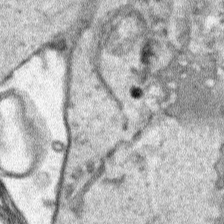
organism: Human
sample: Mitochondria in HCT116 cells